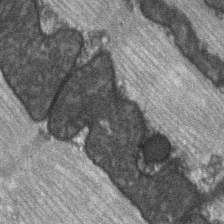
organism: C57BL Mouse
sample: Soleus